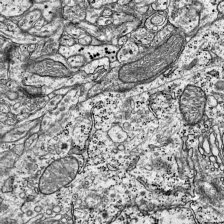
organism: Mouse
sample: Visual Cortex